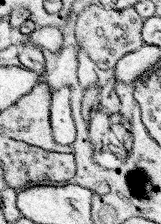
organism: Mouse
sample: Somatosensory cortex neuropil